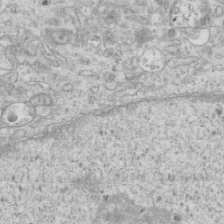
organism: Mouse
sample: Centriole in ependymal cells